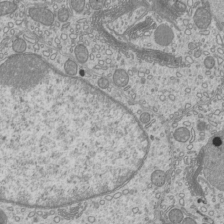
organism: Mouse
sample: Cilia; mouse epididymis